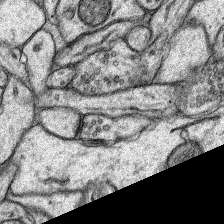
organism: Rat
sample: Hippocampus